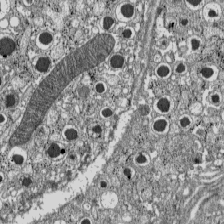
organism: C57BL Mouse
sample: Pancreatic islet